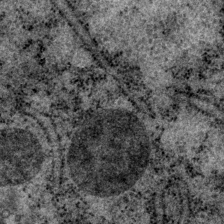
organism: P. pacificus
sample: Pharynx